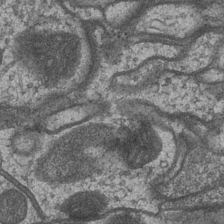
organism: Drosophila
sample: Optic medulla